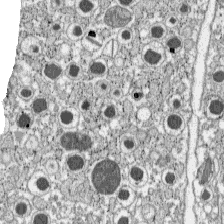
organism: C57BL Mouse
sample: Pancreatic islet